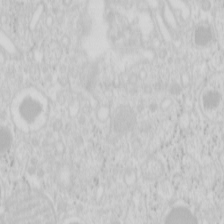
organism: Mouse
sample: Pancreas